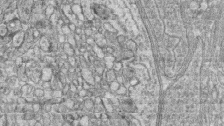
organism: Zebrafish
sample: synaptic ribbons in rod cells and cone cells